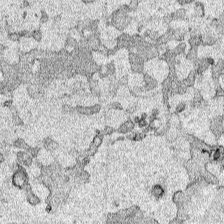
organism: Human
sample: Mitochondria in HCT116 cells